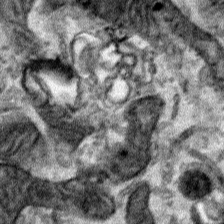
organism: Human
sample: Mitochondria in HCT116 cells